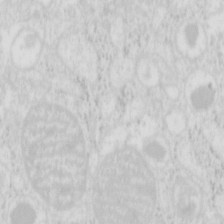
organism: Mouse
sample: Pancreas